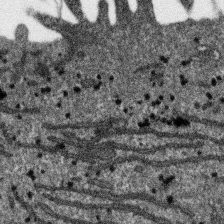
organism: Human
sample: Lung epithelial cells infected with SARS-CoV-2